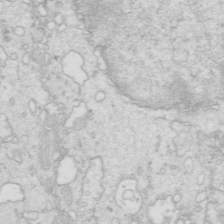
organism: Mouse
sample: Multiciliated cells